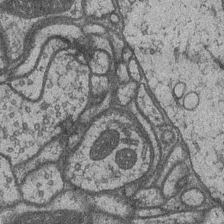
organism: Drosophila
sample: Optic medulla